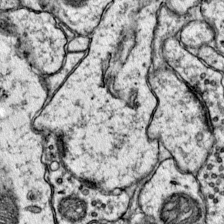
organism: Mouse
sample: Primary visual cortex